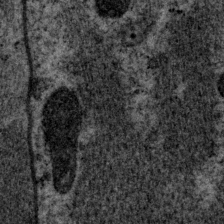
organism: P. pacificus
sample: Pharynx